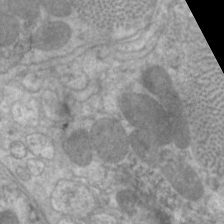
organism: C. elegans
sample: Pharynx